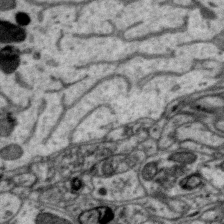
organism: Zebra finch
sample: Brain